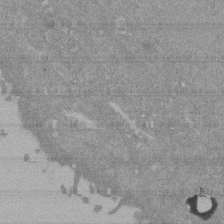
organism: Mouse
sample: ED-1 cell nuclei; centrioles